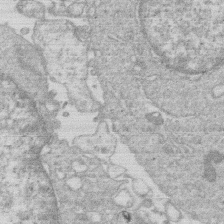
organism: Human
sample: Macrophage cells